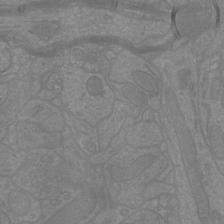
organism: Mouse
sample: Cortical neurons